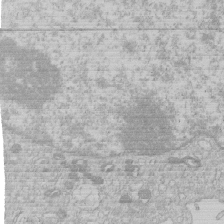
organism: Human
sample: Macrophage cells